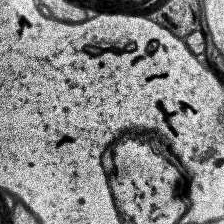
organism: Human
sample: Temporal Lobe